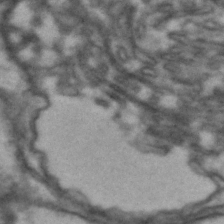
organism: Drosophila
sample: Brain